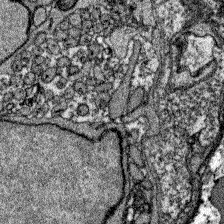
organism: Zebrafish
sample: Larval olfactory bulb